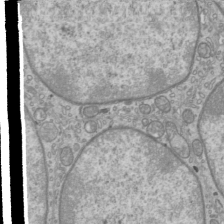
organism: Mouse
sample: Cilia; mouse epididymis